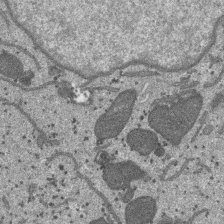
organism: Human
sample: Lung epithelial cells infected with SARS-CoV-2